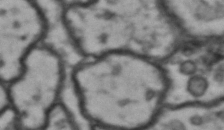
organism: Drosophila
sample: Brain